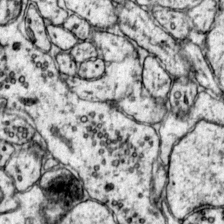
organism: Mouse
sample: Primary visual cortex